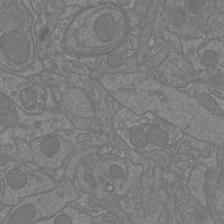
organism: Mouse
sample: Cortical neurons